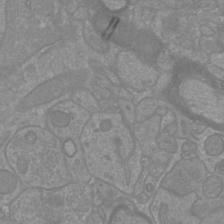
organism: Mouse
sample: Cortical neurons